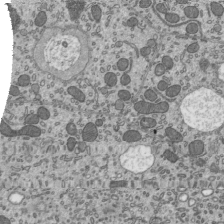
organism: Mouse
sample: Mouse epididymis efferent ductule cilia